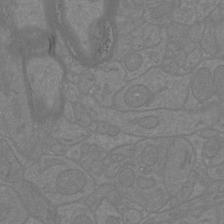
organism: Mouse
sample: Cortical neurons